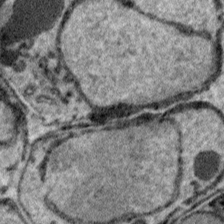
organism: Plasmodium falciparum